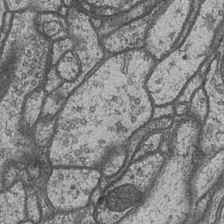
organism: Drosophila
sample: Optic medulla